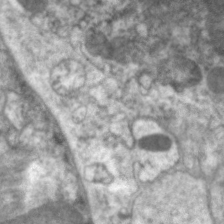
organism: C. elegans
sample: Pharynx